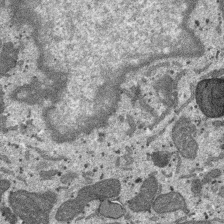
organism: Human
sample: Lung epithelial cells infected with SARS-CoV-2